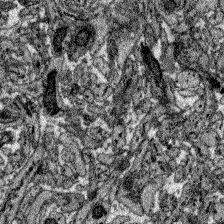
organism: Zebrafish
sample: Larval olfactory bulb